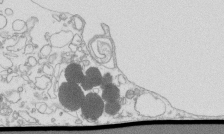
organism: Mouse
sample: Macrophages